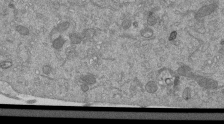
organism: Mouse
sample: ED-1 cell nuclei; centrioles